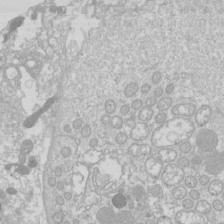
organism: Drosophila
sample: Cell division; meiosis; drosophila spermatocytes